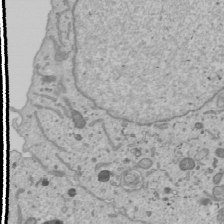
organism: Human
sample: Mitochondria in U2OS cells